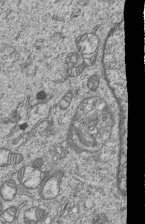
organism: Human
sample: MDA-MB-231 cells